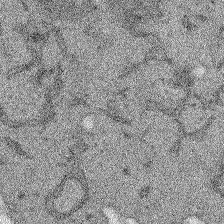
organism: Human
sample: HeLa cells